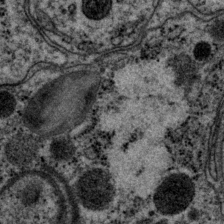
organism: P. pacificus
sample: Pharynx